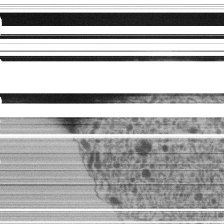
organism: Human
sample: Retinal organoid Rod and Cone cells